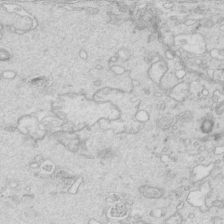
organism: Mouse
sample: Multiciliated cells